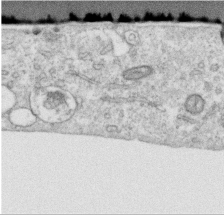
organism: Human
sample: Centriole in RPE cells